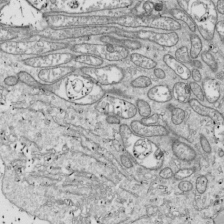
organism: Drosophila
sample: Cell division; meiosis; drosophila spermatocytes